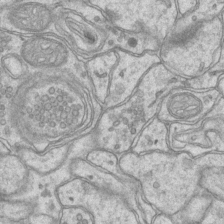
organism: Mouse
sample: CA1 Hippocampus